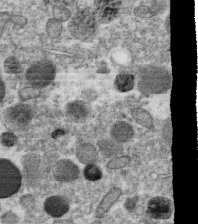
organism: C. elegans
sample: C. elegans oocyte; sperm cells